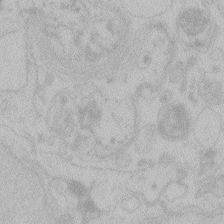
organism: Zebrafish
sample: Macrophage infected with Toxoplasma gondii